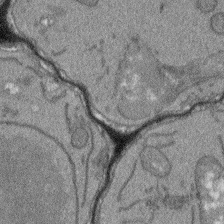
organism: Arabidopsis thaliana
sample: Root tip